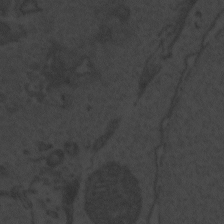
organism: Zebrafish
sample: Macrophage infected with Toxoplasma gondii